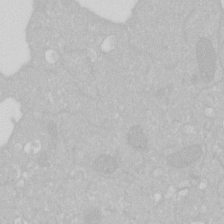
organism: Human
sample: HIV infected U937 cells